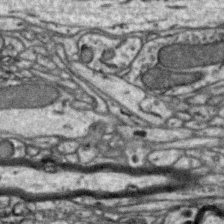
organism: Zebra finch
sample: Brain